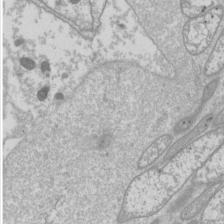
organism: Drosophila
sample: Cell division; meiosis; drosophila spermatocytes